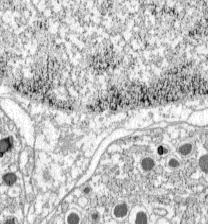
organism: C57BL Mouse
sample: Pancreatic islet